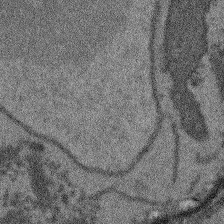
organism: Arabidopsis thaliana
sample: Root tip